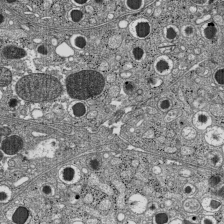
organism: C57BL Mouse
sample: Pancreatic islet